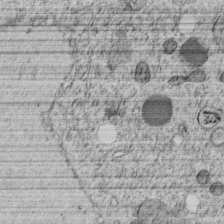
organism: C. elegans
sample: C. elegans embryo early stage